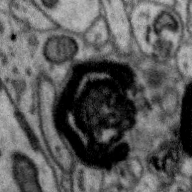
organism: Zebra finch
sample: Brain